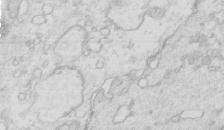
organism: Mouse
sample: Multiciliated cells